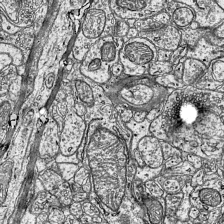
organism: Mouse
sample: Visual Cortex